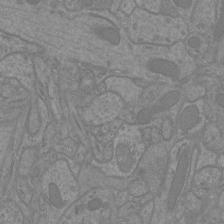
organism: Mouse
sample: Cortical neurons